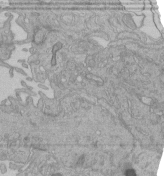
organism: Human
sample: Retinal organoid Rod and Cone cells